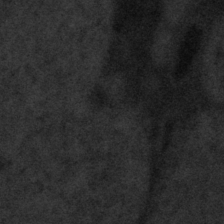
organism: Tuwongella immobilis